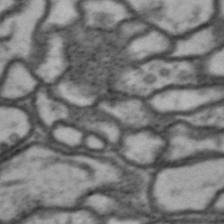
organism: Drosophila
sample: Brain